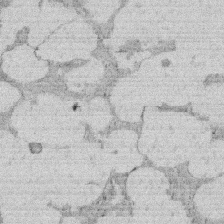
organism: Rat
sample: Salivary granule